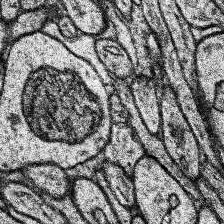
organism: Human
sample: Temporal Lobe